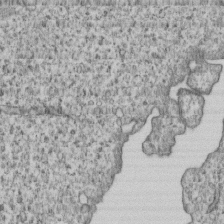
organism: Human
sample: MDA-MB-231 cells